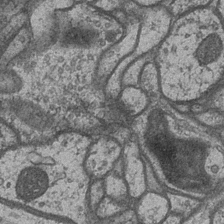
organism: Drosophila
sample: Optic medulla